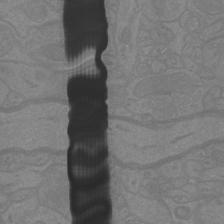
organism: Mouse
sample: Cortical neurons